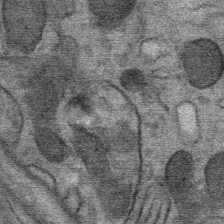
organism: Mouse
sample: Mouse Salivary gland